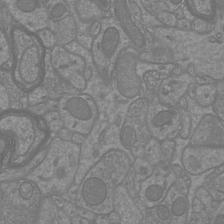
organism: Mouse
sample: Cortical neurons